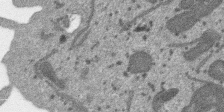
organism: Human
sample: Lung epithelial cells infected with SARS-CoV-2